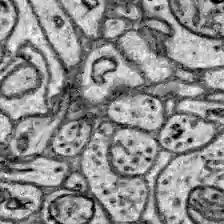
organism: Zebrafish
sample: Brain